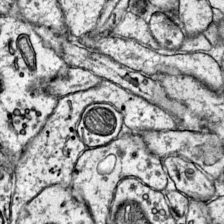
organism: Mouse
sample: Primary visual cortex